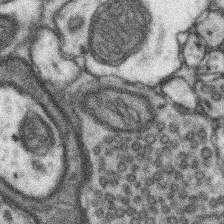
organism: Mouse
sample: Somatosensory cortex neuropil